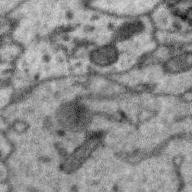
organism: Zebra finch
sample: Brain